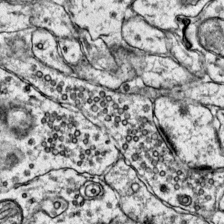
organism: Mouse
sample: Primary visual cortex